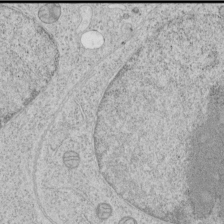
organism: Human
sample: Mitochondria in HCT116 cells